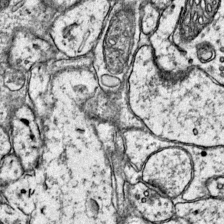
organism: Mouse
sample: Primary visual cortex